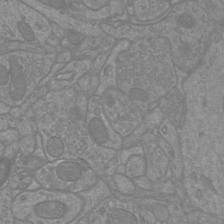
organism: Mouse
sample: Cortical neurons